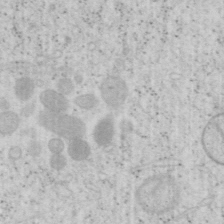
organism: Human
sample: HeLa cells